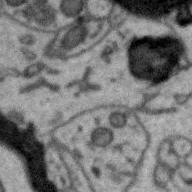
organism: Zebra finch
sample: Brain